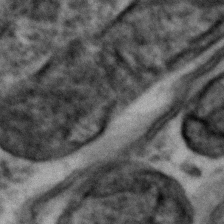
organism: Zebrafish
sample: Zebrafish embryo